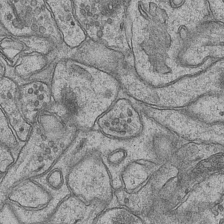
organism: Mouse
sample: CA1 Hippocampus